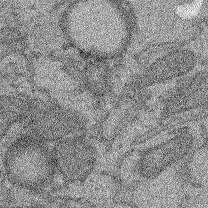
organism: Human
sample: HeLa cells